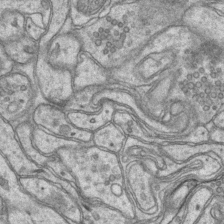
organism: Mouse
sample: CA1 Hippocampus